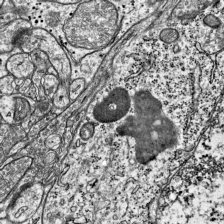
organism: Mouse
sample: Visual Cortex